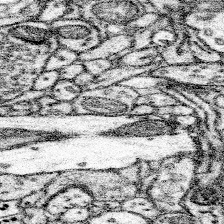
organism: Mouse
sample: Somatosensory cortex neuropil